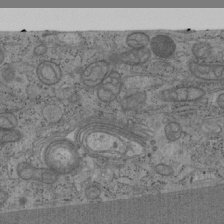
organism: Human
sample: HeLa cells